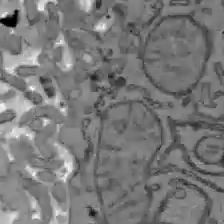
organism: C57BL Mouse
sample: Liver